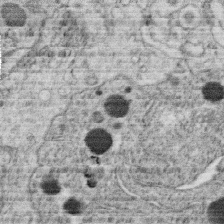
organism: C. elegans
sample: C. elegans oocyte; sperm cells